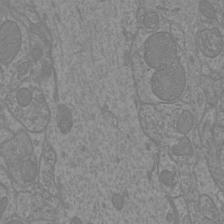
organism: Mouse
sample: Cortical neurons